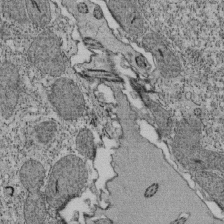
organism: Tetrahymena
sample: Cilia in tetrahymena